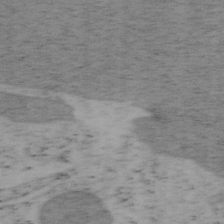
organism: Mouse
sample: OT-I killer T cells with ID8 ovarian cancer cells